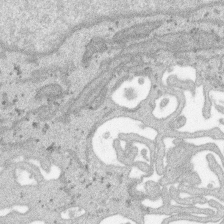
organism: Human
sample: Lung epithelial cells infected with SARS-CoV-2